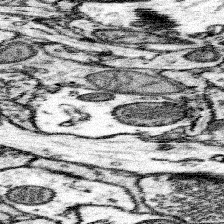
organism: Mouse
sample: Somatosensory cortex neuropil